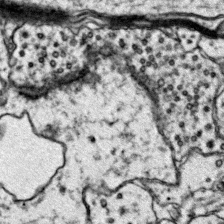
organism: Mouse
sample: Primary visual cortex